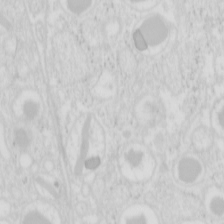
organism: Mouse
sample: Pancreas